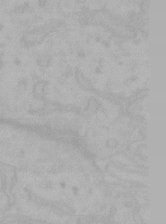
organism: Mouse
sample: Choroid plexus